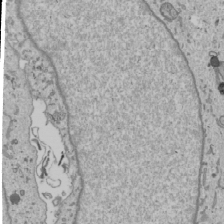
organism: Human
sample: Mitochondria in U2OS cells